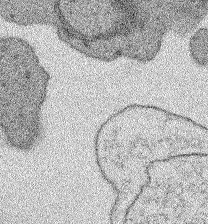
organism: Human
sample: HeLa cells